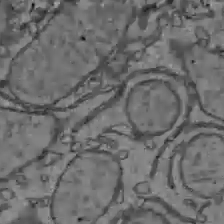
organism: C57BL Mouse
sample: Liver